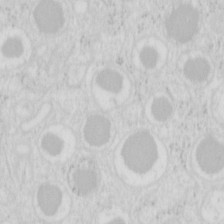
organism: Mouse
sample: Pancreas